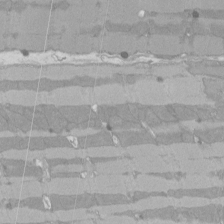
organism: Rat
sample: Left ventricle